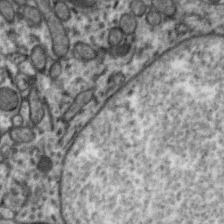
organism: Zebra finch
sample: Brain